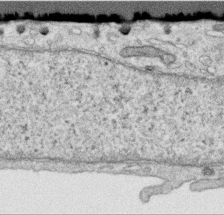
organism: Human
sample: Centriole in RPE cells